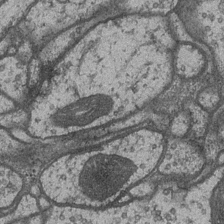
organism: Drosophila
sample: Optic medulla